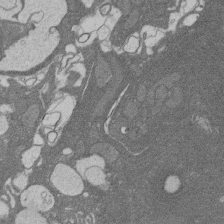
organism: Rat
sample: Salivary granule